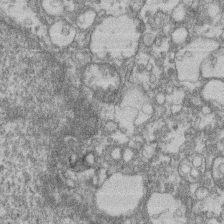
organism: Mouse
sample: T cell stromal cell synapse